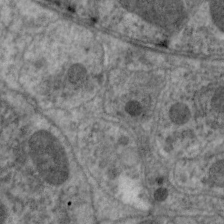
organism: C. elegans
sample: Pharynx